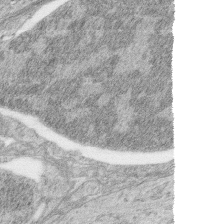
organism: Zebrafish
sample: synaptic ribbons in rod cells and cone cells